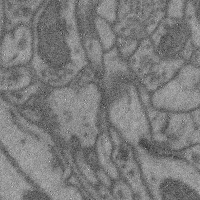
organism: Mouse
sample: Cerebral cortex